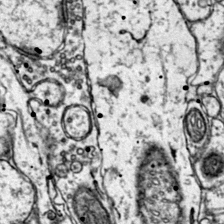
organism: Mouse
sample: Primary visual cortex